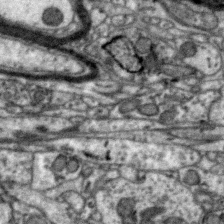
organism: Zebra finch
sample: Brain